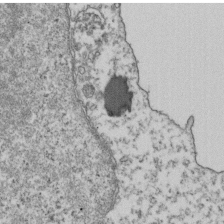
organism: Human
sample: Activated Jurkat CD4+ T cells